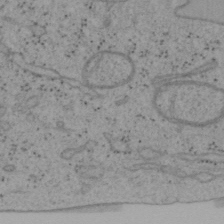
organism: Human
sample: HeLa cells